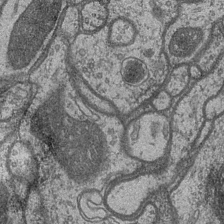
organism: Drosophila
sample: Optic medulla